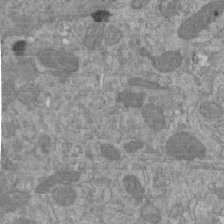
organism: Mouse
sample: ED-1 cell nuclei; centrioles